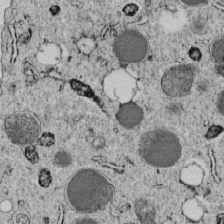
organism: C. elegans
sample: C. elegans embryo early stage